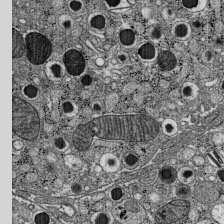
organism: C57BL Mouse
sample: Pancreatic islet